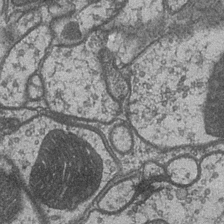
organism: Drosophila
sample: Optic medulla